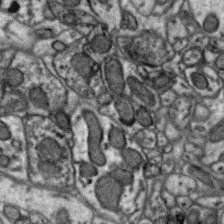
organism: Zebra finch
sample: Brain